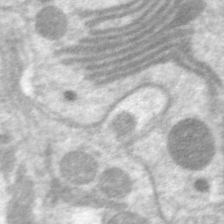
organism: C. elegans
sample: Pharynx